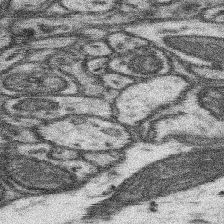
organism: Mouse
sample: Somatosensory cortex neuropil